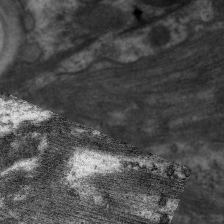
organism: C. elegans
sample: Pharynx